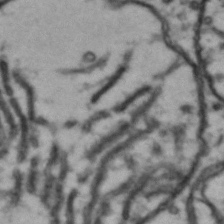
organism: Drosophila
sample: Brain